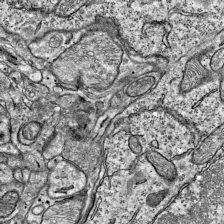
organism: Mouse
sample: Visual Cortex